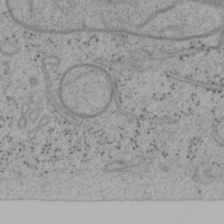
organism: Human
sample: HeLa cells